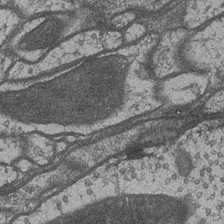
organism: Drosophila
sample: Optic medulla